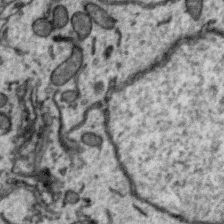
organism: Zebra finch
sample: Brain